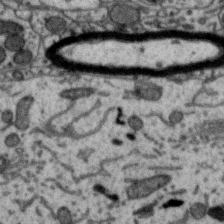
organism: Zebra finch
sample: Brain